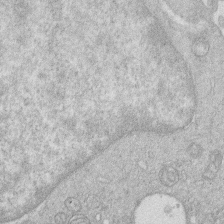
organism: Human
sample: Macrophage cells